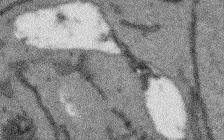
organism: Arabidopsis thaliana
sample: Root tip